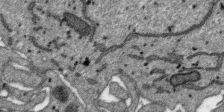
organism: Human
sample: Lung epithelial cells, uninfected (mock) control